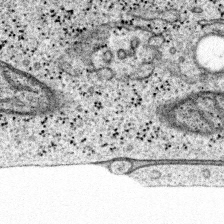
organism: Human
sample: HeLa cells